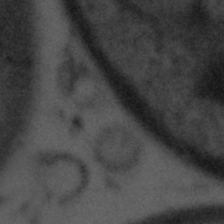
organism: Tuwongella immobilis